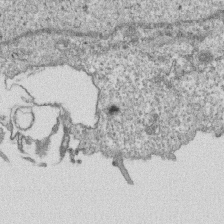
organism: Human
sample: HeLa cell HIV synapse